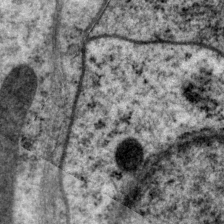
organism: P. pacificus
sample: Pharynx